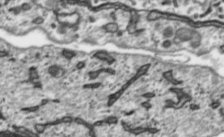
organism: Toxoplasma gondii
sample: Parasites in a vacuole inside a host cell